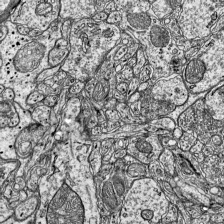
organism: Mouse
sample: Visual Cortex